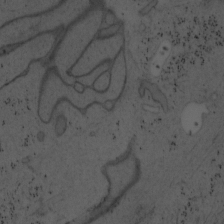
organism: Mouse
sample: OT-I killer T cells with ID8 ovarian cancer cells